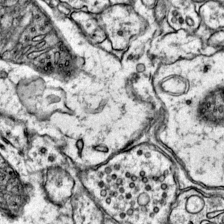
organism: Mouse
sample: Primary visual cortex